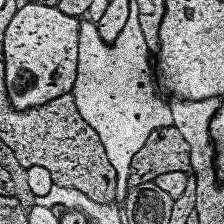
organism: Human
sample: Temporal Lobe